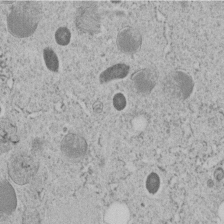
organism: C. elegans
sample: C. elegans embryo early stage